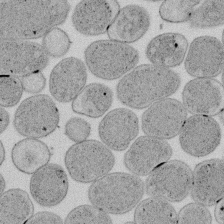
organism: E. coli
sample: Bacterial nucleoid